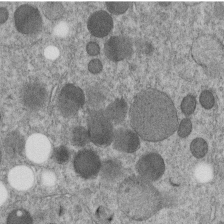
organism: C. elegans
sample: C. elegans embryo early stage